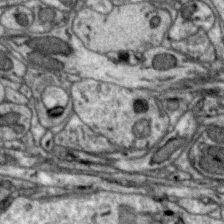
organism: Zebra finch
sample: Brain